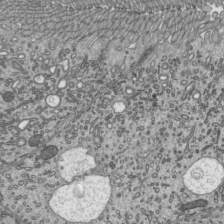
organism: Mouse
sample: Mouse epididymis efferent ductule cilia